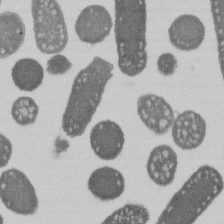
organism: E. coli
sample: Bacterial nucleoid